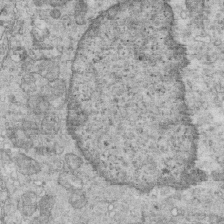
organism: Mouse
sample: Multiciliated cells